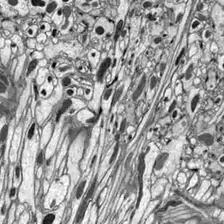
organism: Drosophila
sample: Optic lobe